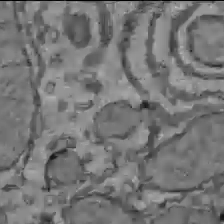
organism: C57BL Mouse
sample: Liver